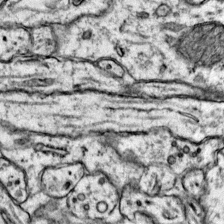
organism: Mouse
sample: Primary visual cortex